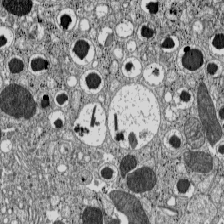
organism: C57BL Mouse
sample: Pancreatic islet